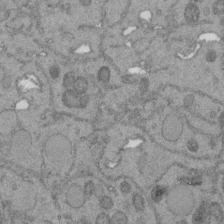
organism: C. elegans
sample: C. elegans embryo early stage